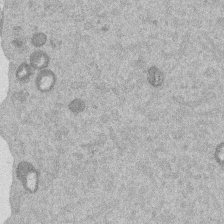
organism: Mouse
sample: Dividing mouse embryo 1 cell stage